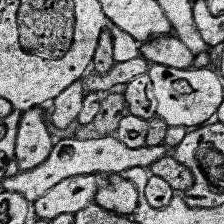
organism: Human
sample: Temporal Lobe